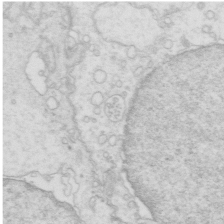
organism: Mouse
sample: Multiciliated cells